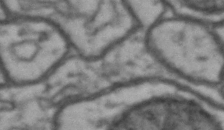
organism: Drosophila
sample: Brain